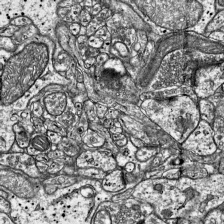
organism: Mouse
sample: Visual Cortex